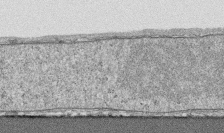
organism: Human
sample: CRL-1474